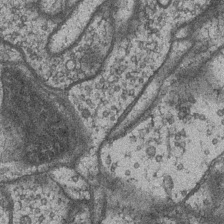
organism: Drosophila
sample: Optic medulla